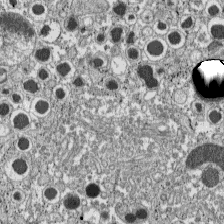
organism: C57BL Mouse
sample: Pancreatic islet